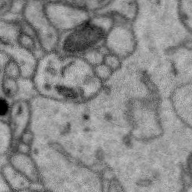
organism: Zebra finch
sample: Brain